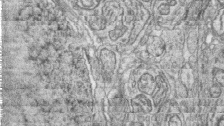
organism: Zebrafish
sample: synaptic ribbons in rod cells and cone cells